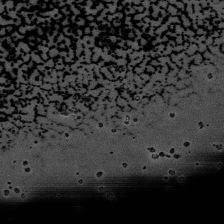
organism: Human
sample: Activated Jurkat CD4+ T cells